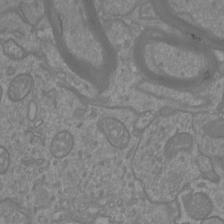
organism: Mouse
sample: Cortical neurons